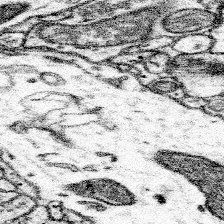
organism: Mouse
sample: Somatosensory cortex neuropil